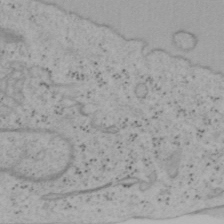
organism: Human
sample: HeLa cells